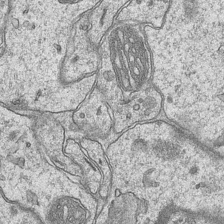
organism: Mouse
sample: CA1 Hippocampus